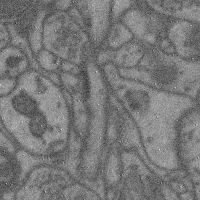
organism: Mouse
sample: Cerebral cortex